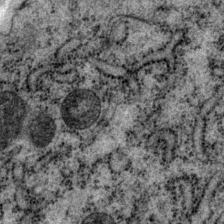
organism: P. pacificus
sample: Pharynx